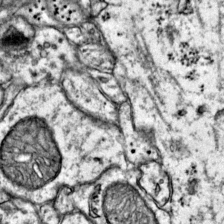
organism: Mouse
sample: Primary visual cortex